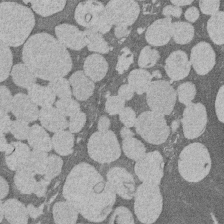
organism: Rat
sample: Salivary granule